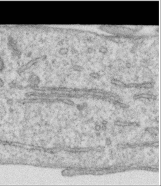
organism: Human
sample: Centriole in RPE cells